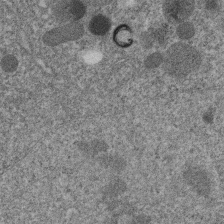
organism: C. elegans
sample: C. elegans embryo early stage